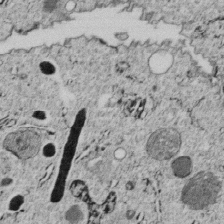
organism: C. elegans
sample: C. elegans embryo early stage